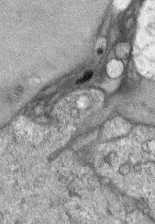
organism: Mouse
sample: Corneal nerves